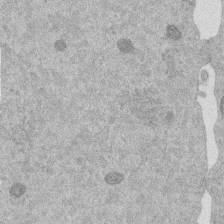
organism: Mouse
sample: Dividing mouse embryo 1 cell stage